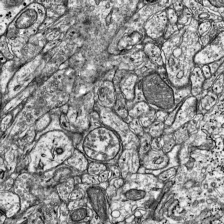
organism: Mouse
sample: Visual Cortex